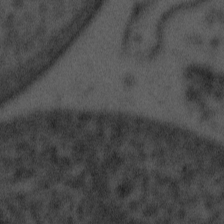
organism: Tuwongella immobilis